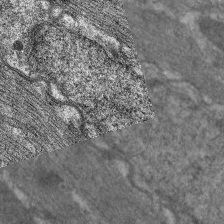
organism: C. elegans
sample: Pharynx